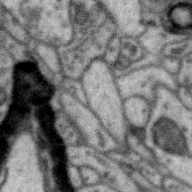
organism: Zebra finch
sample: Brain